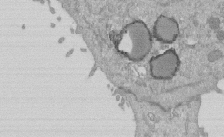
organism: Mouse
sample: ED-1 cell nuclei; centrioles